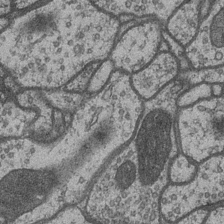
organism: Drosophila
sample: Optic medulla